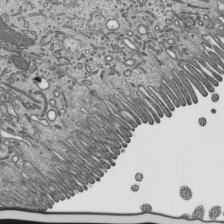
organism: Mouse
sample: Mouse epididymis efferent ductule cilia